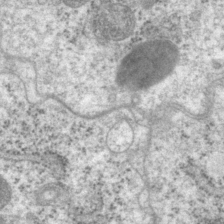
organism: P. pacificus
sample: Pharynx